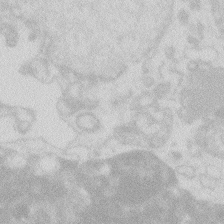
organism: Zebrafish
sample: Macrophage